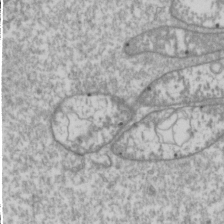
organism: Drosophila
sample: Cell division; meiosis; drosophila spermatocytes